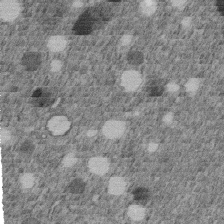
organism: C. elegans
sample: C. elegans embryo early stage